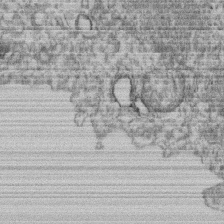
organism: Mouse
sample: T cell stromal cell synapse